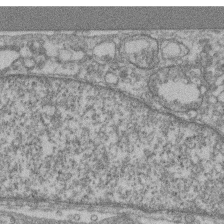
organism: Mouse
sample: T cell stromal cell synapse